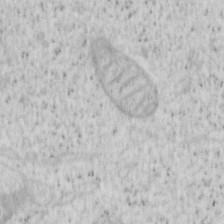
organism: Human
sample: HeLa cells